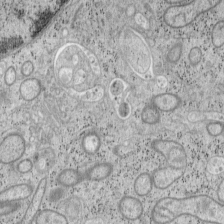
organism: Mouse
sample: OT-I killer T cells with ID8 ovarian cancer cells